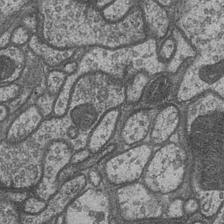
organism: Drosophila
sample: Optic medulla